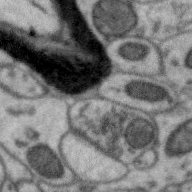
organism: Zebra finch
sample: Brain